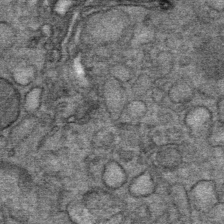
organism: Mouse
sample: Mouse Salivary gland